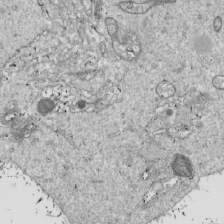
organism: Drosophila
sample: Cell division; meiosis; drosophila spermatocytes